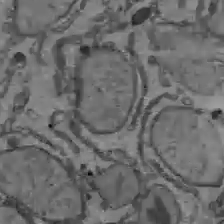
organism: C57BL Mouse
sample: Liver